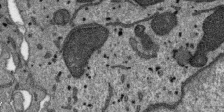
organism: Human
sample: Lung epithelial cells, uninfected (mock) control